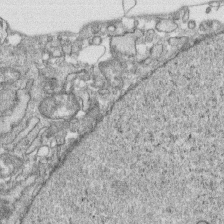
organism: Human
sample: CRL-1474